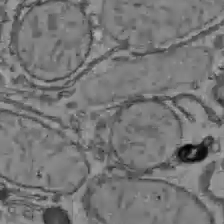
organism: C57BL Mouse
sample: Liver